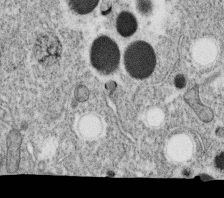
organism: C. elegans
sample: C. elegans oocyte; sperm cells